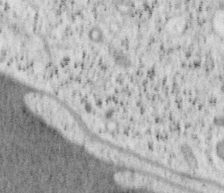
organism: Mouse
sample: OT-I killer T cells with ID8 ovarian cancer cells